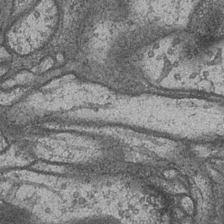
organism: Drosophila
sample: Optic medulla